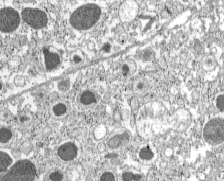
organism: C57BL Mouse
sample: Pancreatic islet